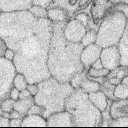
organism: Rabbit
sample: Retina